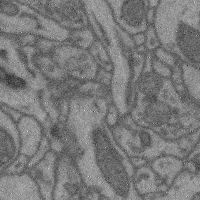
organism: Mouse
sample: Cerebral cortex